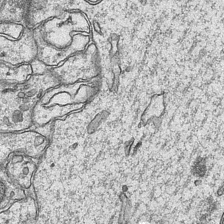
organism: Mouse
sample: CA1 Hippocampus